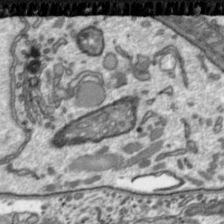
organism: Toxoplasma gondii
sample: Parasites in a vacuole inside a host cell